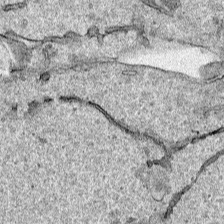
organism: Human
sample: Mitochondria in HCT116 cells